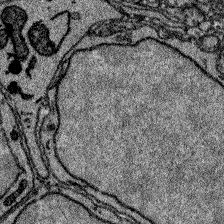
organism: Zebrafish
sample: Larval olfactory bulb